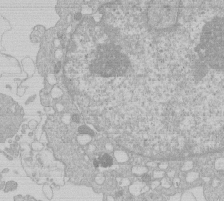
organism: Human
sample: Macrophage cells